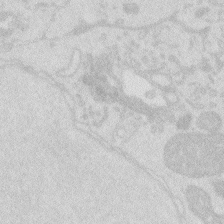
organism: Zebrafish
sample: Macrophage